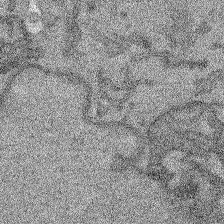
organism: Human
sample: HeLa cells